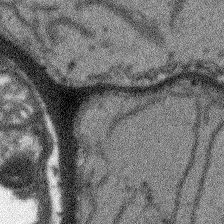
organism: Arabidopsis thaliana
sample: Root tip